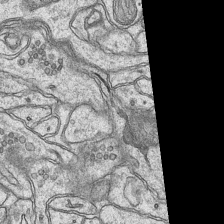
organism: Mouse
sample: CA1 Hippocampus